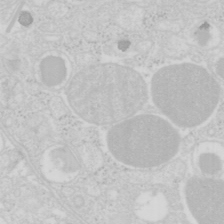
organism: Mouse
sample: Pancreas